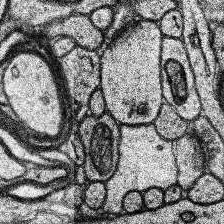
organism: Human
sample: Temporal Lobe